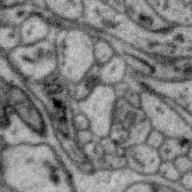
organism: Zebra finch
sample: Brain